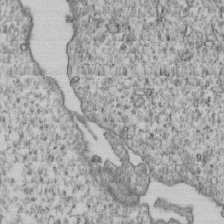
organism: Human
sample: MDA-MB-231 cells